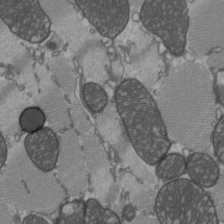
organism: C57BL Mouse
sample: Heart